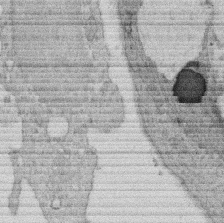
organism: Rat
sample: Salivary granule